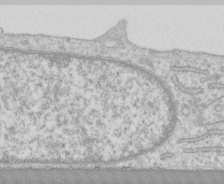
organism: Human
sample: CRL-1474